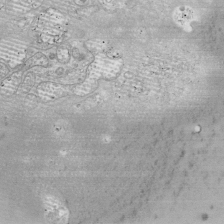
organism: Drosophila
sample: Cell division; meiosis; drosophila spermatocytes